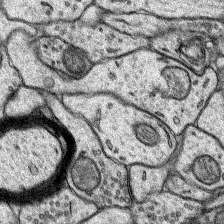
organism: Rat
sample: Hippocampus